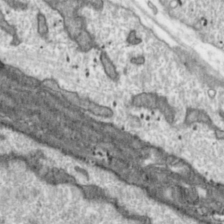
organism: Toxoplasma gondii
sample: Parasites in a vacuole inside a host cell